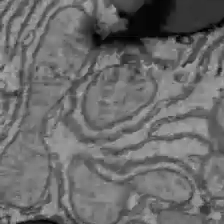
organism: C57BL Mouse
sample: Liver